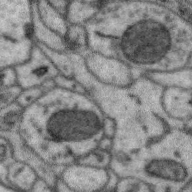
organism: Zebra finch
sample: Brain